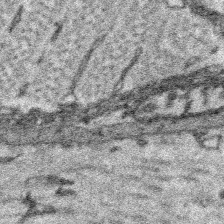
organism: Platynereis dumerilii